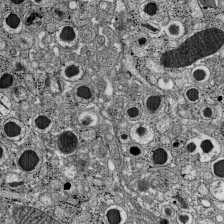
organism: C57BL Mouse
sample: Pancreatic islet